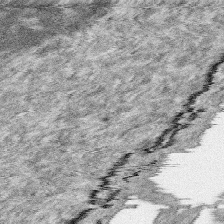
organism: Human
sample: HeLa cells